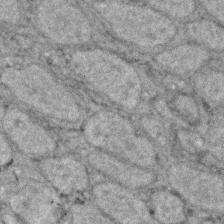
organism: Zebrafish